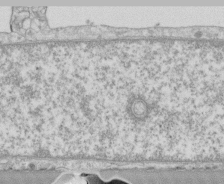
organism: Human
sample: CRL-1474